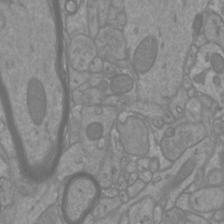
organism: Mouse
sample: Cortical neurons